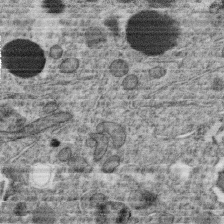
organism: C. elegans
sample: C. elegans oocyte; sperm cells